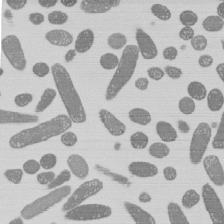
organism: E. coli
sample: Bacterial nucleoid